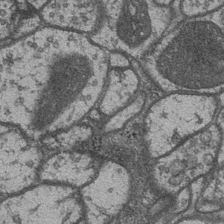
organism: Drosophila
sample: Optic medulla